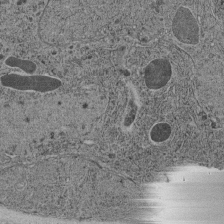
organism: C. elegans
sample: C. elegans pharynx